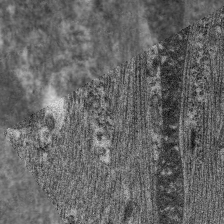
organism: C. elegans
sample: Pharynx